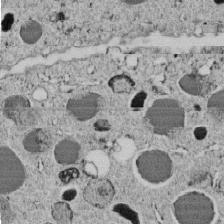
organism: C. elegans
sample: C. elegans embryo early stage